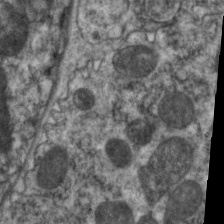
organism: C. elegans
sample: Pharynx